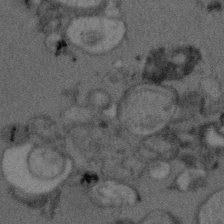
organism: Human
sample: HeLa cells